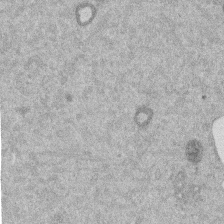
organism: Mouse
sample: Dividing mouse embryo 1 cell stage